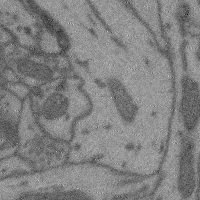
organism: Mouse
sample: Cerebral cortex